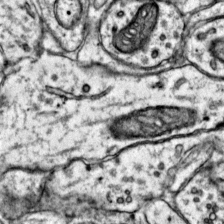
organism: Mouse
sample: Primary visual cortex